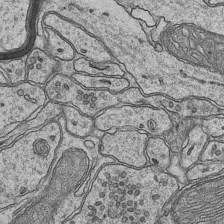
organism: Mouse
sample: CA1 Hippocampus